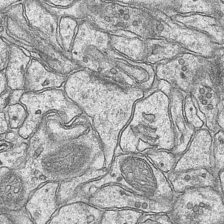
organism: Mouse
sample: CA1 Hippocampus